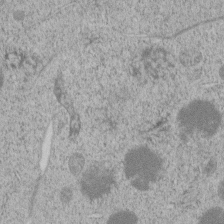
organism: C. elegans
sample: C. elegans embryo early stage